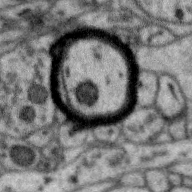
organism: Zebra finch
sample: Brain